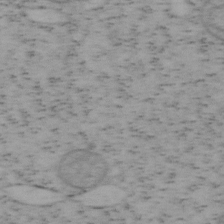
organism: Mouse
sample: OT-I killer T cells with ID8 ovarian cancer cells